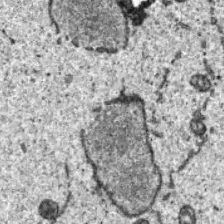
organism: Human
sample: HeLa cells